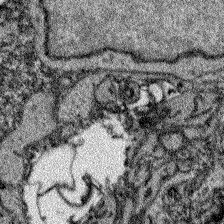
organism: Zebrafish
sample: Larval olfactory bulb